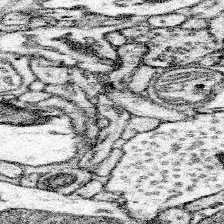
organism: Mouse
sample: Somatosensory cortex neuropil